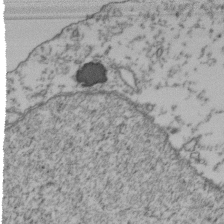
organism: Human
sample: Activated Jurkat CD4+ T cells